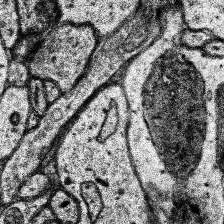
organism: Human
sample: Temporal Lobe